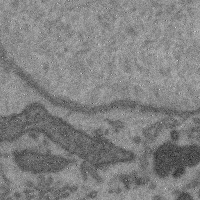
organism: Mouse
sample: Cerebral cortex